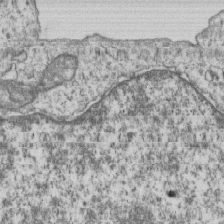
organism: Human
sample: MDA-MB-231 cells